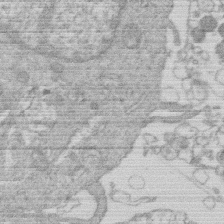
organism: Human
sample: Macrophage cells